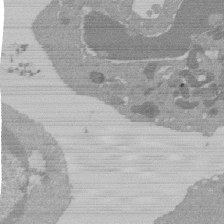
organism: Mouse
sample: Activated Pmel transgenic CD8+ T Cells